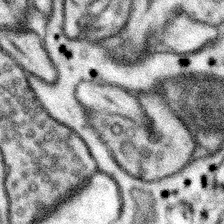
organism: Mouse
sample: Somatosensory cortex neuropil